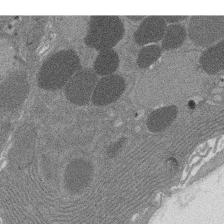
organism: Rat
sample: Salivary granule